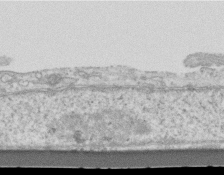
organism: Mouse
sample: Centriole in ependymal cells